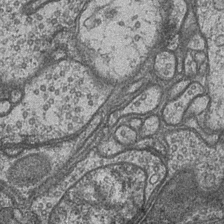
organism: Drosophila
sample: Optic medulla